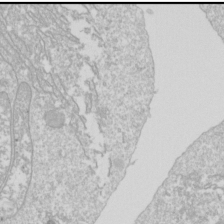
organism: Drosophila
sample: Cell division; meiosis; drosophila spermatocytes